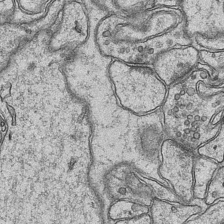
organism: Mouse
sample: CA1 Hippocampus